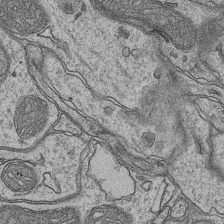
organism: Mouse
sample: CA1 Hippocampus